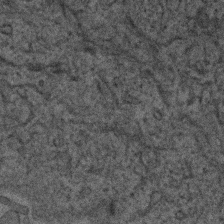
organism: Human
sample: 1205lu cells